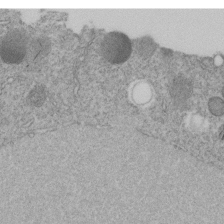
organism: C. elegans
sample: C. elegans embryo early stage